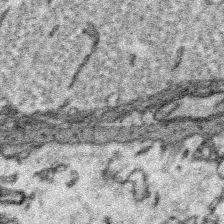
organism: Platynereis dumerilii